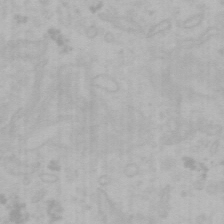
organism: Mouse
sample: Choroid plexus